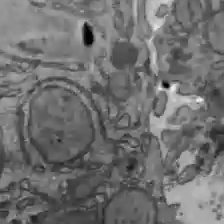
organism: C57BL Mouse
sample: Liver